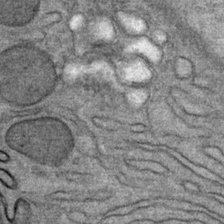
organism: Mouse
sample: Mouse Salivary gland